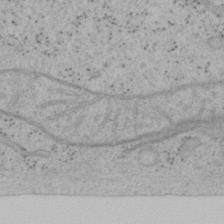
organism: Human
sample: HeLa cells